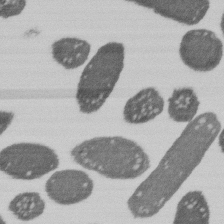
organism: E. coli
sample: Bacterial nucleoid